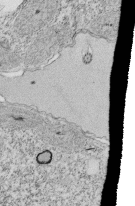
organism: Tetrahymena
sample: Cilia in tetrahymena